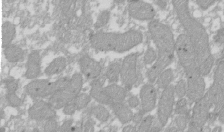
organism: Xenopus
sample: Cilia; centrioles in frog embryo cells